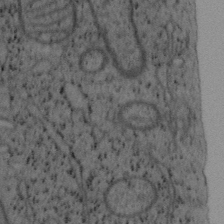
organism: Human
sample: HeLa cells